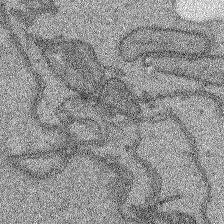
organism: Human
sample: HeLa cells